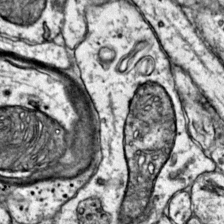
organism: Mouse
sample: Primary visual cortex